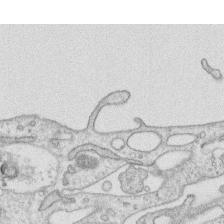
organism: Human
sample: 1205lu cells